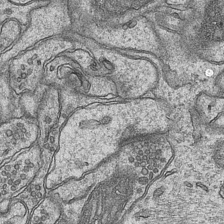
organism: Mouse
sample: CA1 Hippocampus